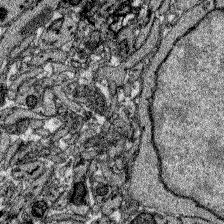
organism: Zebrafish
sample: Larval olfactory bulb